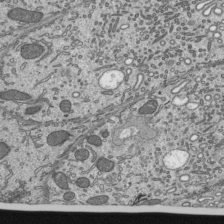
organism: Mouse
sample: Mouse epididymis efferent ductule cilia